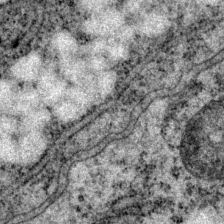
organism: P. pacificus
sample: Pharynx